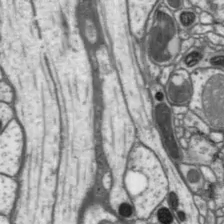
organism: Drosophila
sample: Protocerebral bridge